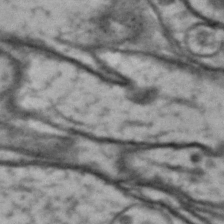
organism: Drosophila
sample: Brain